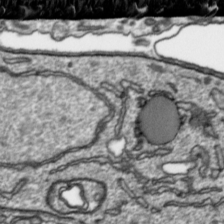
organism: Toxoplasma gondii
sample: Parasites in a vacuole inside a host cell